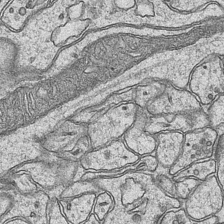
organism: Mouse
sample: CA1 Hippocampus